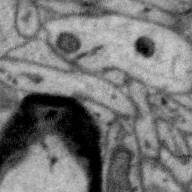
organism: Zebra finch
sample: Brain